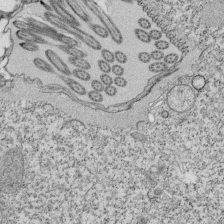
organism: Tetrahymena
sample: Cilia in tetrahymena